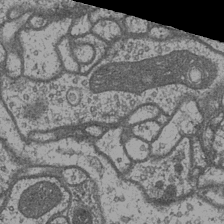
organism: Drosophila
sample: Optic medulla